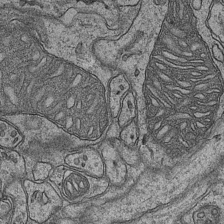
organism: Mouse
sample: CA1 Hippocampus